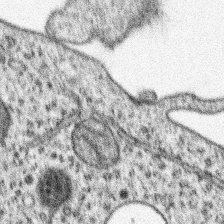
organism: Human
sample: HeLa cells